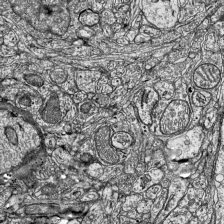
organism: Mouse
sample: Visual Cortex